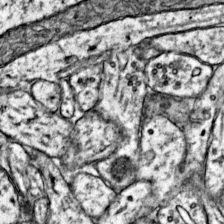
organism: Mouse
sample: Primary visual cortex